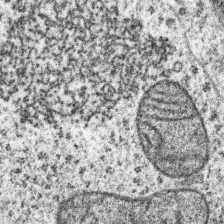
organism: Human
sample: HeLa cells